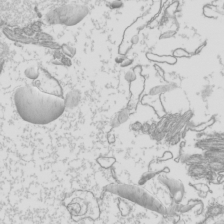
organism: Mouse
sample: Cilia; mouse epididymis